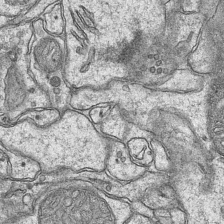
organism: Mouse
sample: CA1 Hippocampus